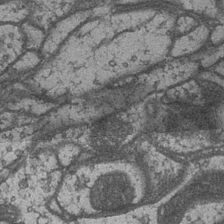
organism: Drosophila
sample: Optic medulla